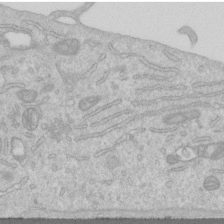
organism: Human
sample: Centriole in RPE cells